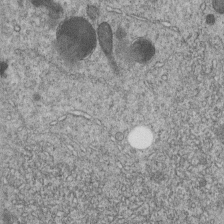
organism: C. elegans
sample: C. elegans embryo early stage